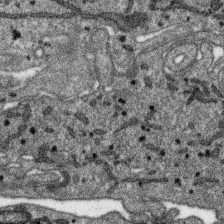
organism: Human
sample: Lung epithelial cells infected with SARS-CoV-2